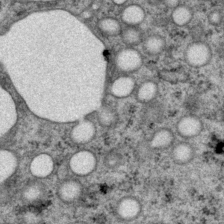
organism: P. pacificus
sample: Pharynx